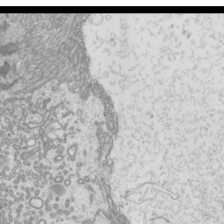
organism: Mouse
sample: Cilia; mouse epididymis